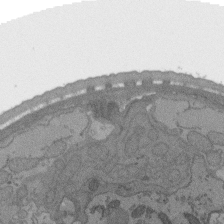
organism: C. elegans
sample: AFD neurons C. elegans